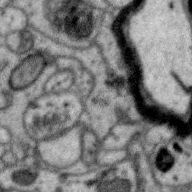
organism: Zebra finch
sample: Brain